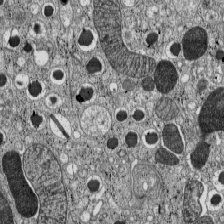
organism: C57BL Mouse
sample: Pancreatic islet